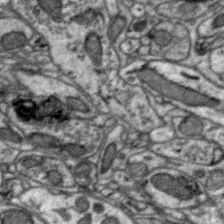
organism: Zebra finch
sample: Brain